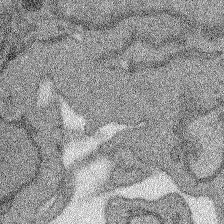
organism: Human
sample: HeLa cells